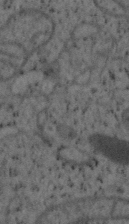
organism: Human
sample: HeLa cells